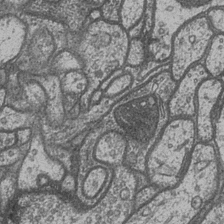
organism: Drosophila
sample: Optic medulla